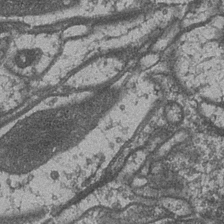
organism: Drosophila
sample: Optic medulla